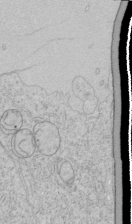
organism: Human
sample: Mitochondria in HCT116 cells